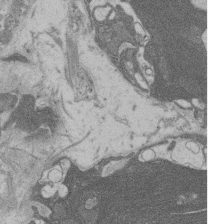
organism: Rat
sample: Salivary granule